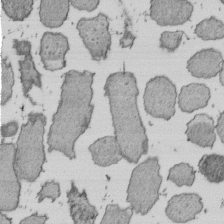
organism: E. coli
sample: Bacterial nucleoid